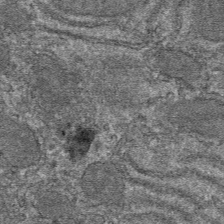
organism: Mouse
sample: Mouse hepatocytes